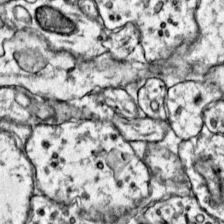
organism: Mouse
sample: Primary visual cortex